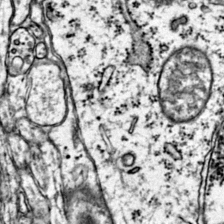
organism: Mouse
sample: Primary visual cortex